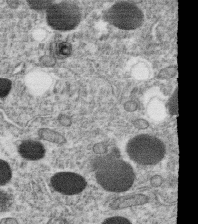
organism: C. elegans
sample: C. elegans oocyte; sperm cells